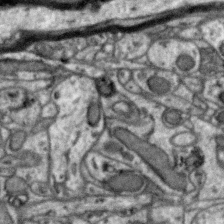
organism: Zebra finch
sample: Brain